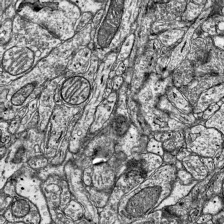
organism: Mouse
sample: Visual Cortex